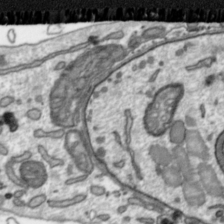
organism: Toxoplasma gondii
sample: Parasites in a vacuole inside a host cell